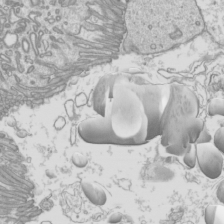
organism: Mouse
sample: Cilia; mouse epididymis